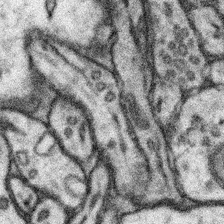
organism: Mouse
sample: Somatosensory cortex neuropil